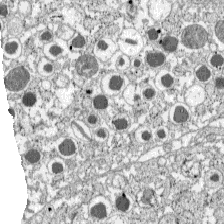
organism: C57BL Mouse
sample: Pancreatic islet